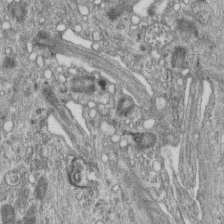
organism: Mouse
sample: Centriole in ependymal cells